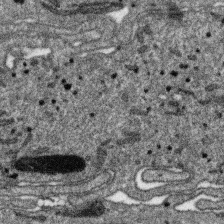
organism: Human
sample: Lung epithelial cells infected with SARS-CoV-2